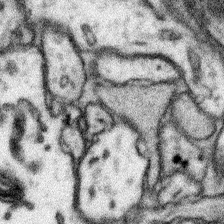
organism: Mouse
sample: Somatosensory cortex neuropil